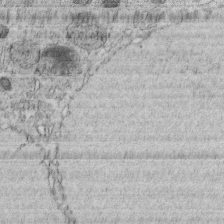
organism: C. elegans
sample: C. elegans embryo early stage